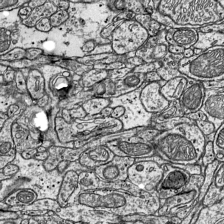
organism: Mouse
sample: Visual Cortex